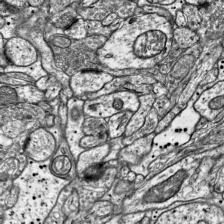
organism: Mouse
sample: Visual Cortex